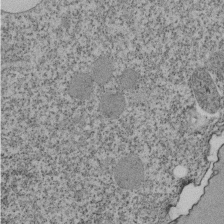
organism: Tetrahymena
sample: Cilia in tetrahymena